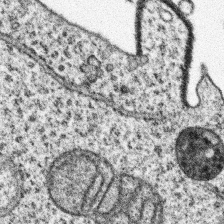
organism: Human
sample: HeLa cells